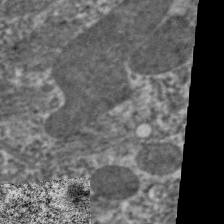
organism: C. elegans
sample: Pharynx